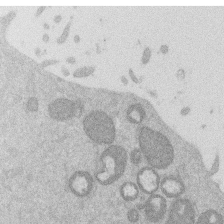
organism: Mouse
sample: Dividing mouse embryo 1 cell stage